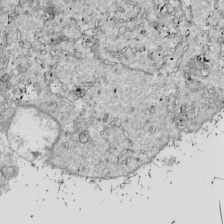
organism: Drosophila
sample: Cell division; meiosis; drosophila spermatocytes